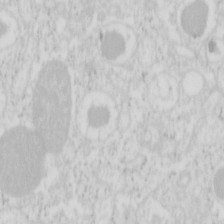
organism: Mouse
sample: Pancreas